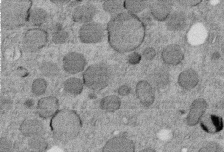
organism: C. elegans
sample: C. elegans embryo early stage